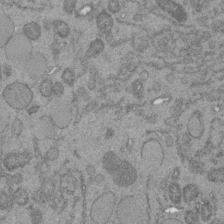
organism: C. elegans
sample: C. elegans embryo early stage